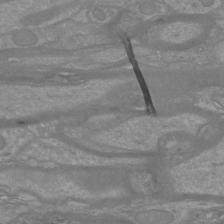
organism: Mouse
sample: Cortical neurons